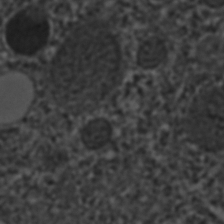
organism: C. elegans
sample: C. elegans embryo